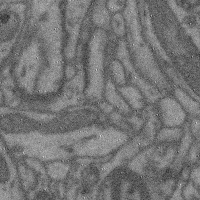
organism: Mouse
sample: Cerebral cortex